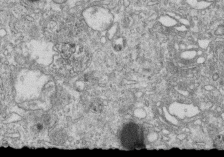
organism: Human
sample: HeLa cell HIV synapse